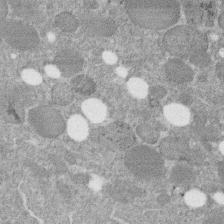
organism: C. elegans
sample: C. elegans embryo early stage